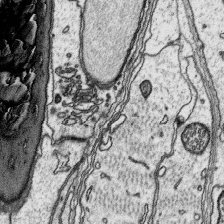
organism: Platynereis dumerilii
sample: Parapodia